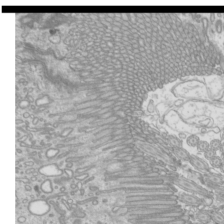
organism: Mouse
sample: Cilia; mouse epididymis